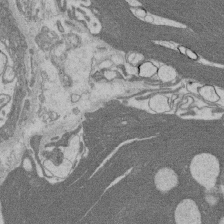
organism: Rat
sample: Salivary granule